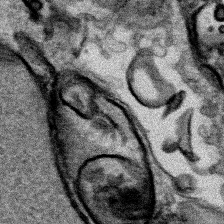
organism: Human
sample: Mitochondria in HCT116 cells